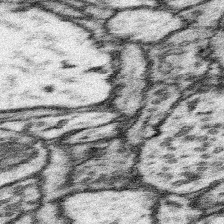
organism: Mouse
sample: Somatosensory cortex neuropil